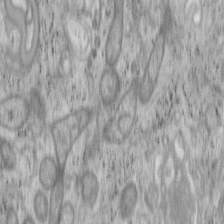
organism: Human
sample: HeLa cells